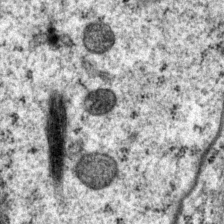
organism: P. pacificus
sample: Pharynx